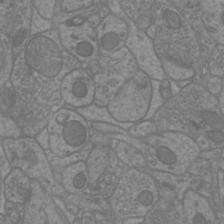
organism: Mouse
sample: Cortical neurons